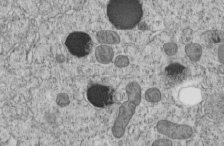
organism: C. elegans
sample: C. elegans embryo early stage